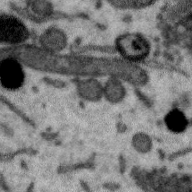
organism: Zebra finch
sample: Brain